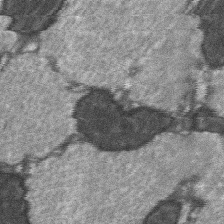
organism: C57BL Mouse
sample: Soleus